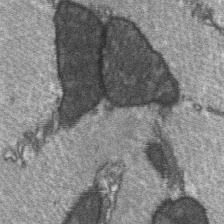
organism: C57BL Mouse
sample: Soleus